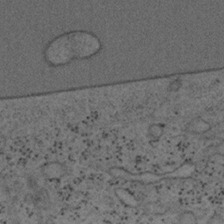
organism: Human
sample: HeLa cells